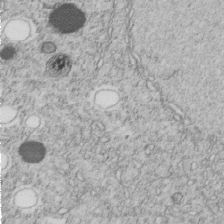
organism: C. elegans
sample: C. elegans embryo early stage